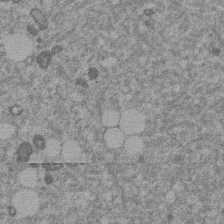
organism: Mouse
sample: Dividing mouse embryo 1 cell stage